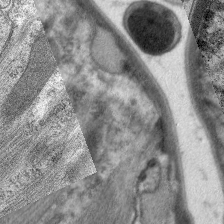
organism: C. elegans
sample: Pharynx